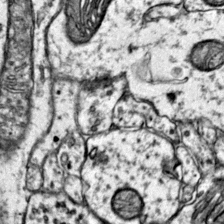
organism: Mouse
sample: Primary visual cortex